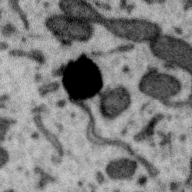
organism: Zebra finch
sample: Brain